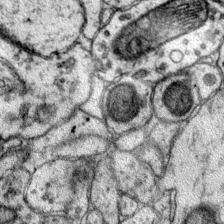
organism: Mouse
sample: Primary visual cortex